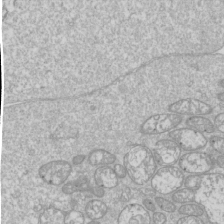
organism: Drosophila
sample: Cell division; meiosis; drosophila spermatocytes